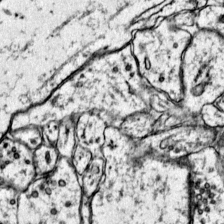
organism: Mouse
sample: Primary visual cortex